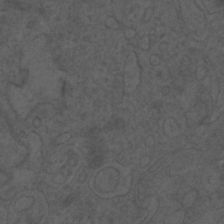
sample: Trachea